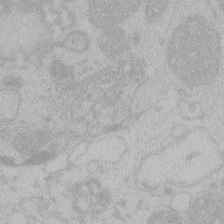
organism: Zebrafish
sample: Macrophage infected with Toxoplasma gondii